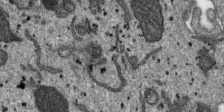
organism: Human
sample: Lung epithelial cells, uninfected (mock) control